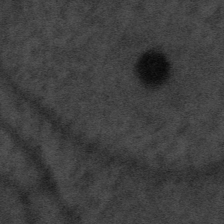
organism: Tuwongella immobilis